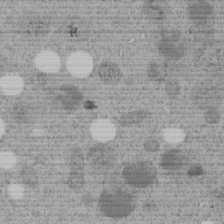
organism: C. elegans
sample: C. elegans embryo early stage